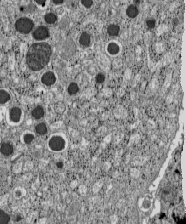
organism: C57BL Mouse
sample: Pancreatic islet